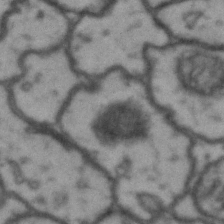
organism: Drosophila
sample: Brain